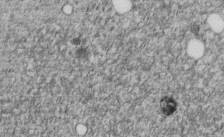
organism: C. elegans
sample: C. elegans embryo early stage